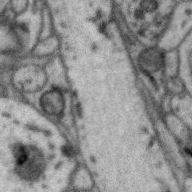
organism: Zebra finch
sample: Brain